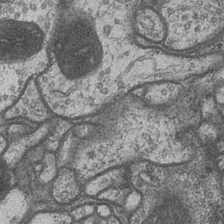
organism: Drosophila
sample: Optic medulla